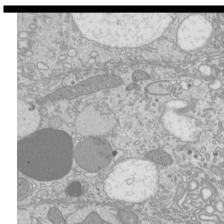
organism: Mouse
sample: Cilia; mouse epididymis